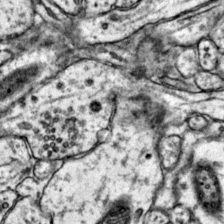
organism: Mouse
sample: Primary visual cortex